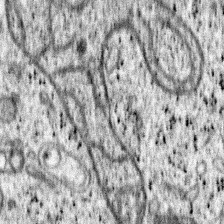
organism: Human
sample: HeLa cells